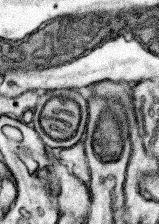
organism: Mouse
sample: Somatosensory cortex neuropil